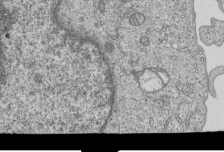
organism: Human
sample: MDA-MB-231 cells